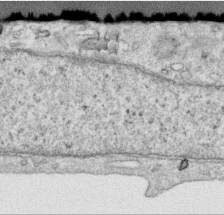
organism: Human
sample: Centriole in RPE cells